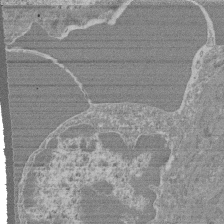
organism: Mouse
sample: Glomerulus